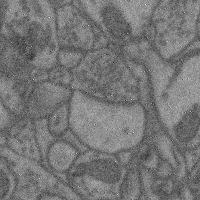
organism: Mouse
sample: Cerebral cortex